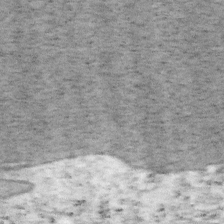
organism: Mouse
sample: OT-I killer T cells with ID8 ovarian cancer cells